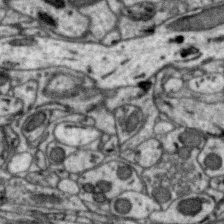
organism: Zebra finch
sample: Brain